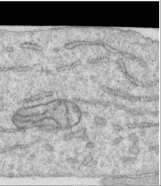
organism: Human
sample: Centriole in RPE cells